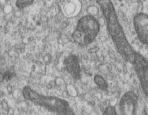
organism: Human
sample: Centriole in RPE cells